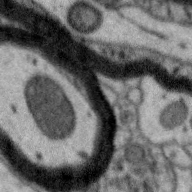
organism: Zebra finch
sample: Brain